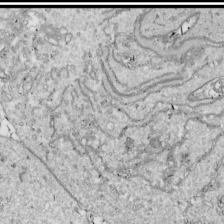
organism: Drosophila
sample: Cell division; meiosis; drosophila spermatocytes